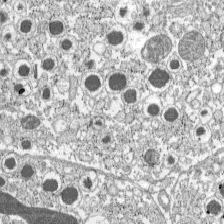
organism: C57BL Mouse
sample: Pancreatic islet